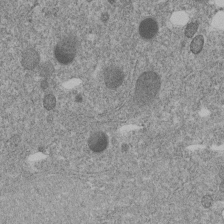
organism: C. elegans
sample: C. elegans embryo early stage